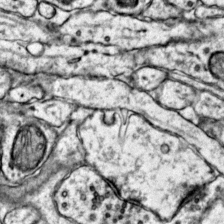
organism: Mouse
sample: Primary visual cortex